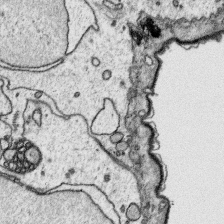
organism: Platynereis dumerilii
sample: Parapodia